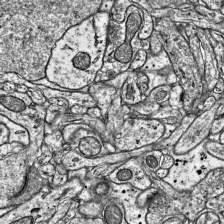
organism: Mouse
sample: Visual Cortex